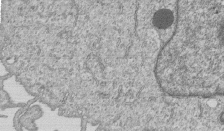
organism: Human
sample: MDA-MB-231 cells